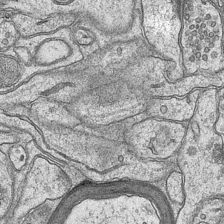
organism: Mouse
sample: CA1 Hippocampus